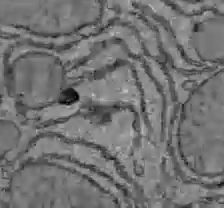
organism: C57BL Mouse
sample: Liver